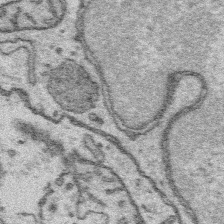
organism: Platynereis dumerilii